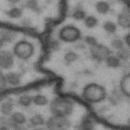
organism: Drosophila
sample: Brain